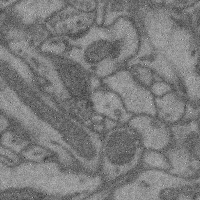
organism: Mouse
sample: Cerebral cortex